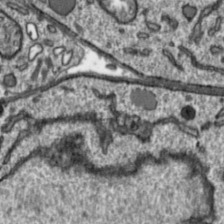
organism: Toxoplasma gondii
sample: Parasites in a vacuole inside a host cell